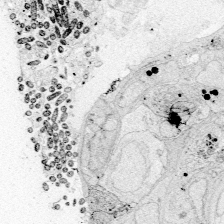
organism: Zebrafish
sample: Whole-Brain